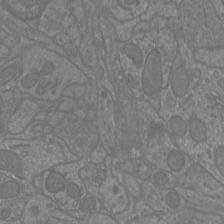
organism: Mouse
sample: Cortical neurons